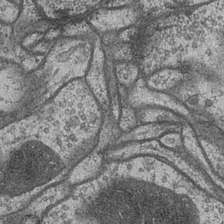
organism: Drosophila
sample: Optic medulla